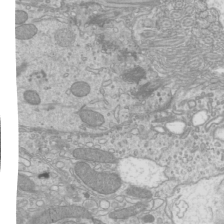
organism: Mouse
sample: Cilia; mouse epididymis